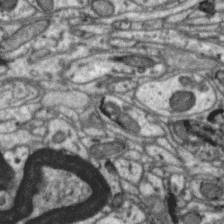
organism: Zebra finch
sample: Brain